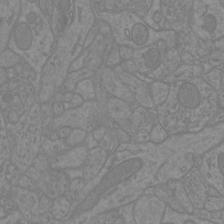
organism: Mouse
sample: Cortical neurons